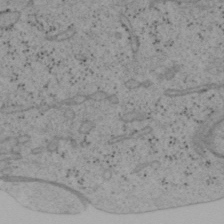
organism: Human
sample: HeLa cells